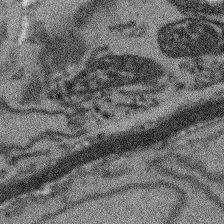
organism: Arabidopsis thaliana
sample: Root tip